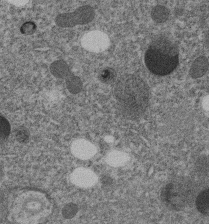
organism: C. elegans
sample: C. elegans embryo early stage